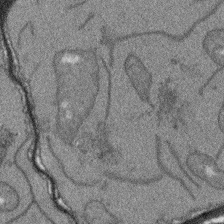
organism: Arabidopsis thaliana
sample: Root tip